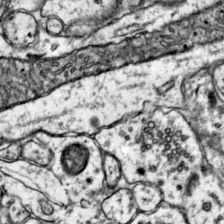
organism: Mouse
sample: Primary visual cortex